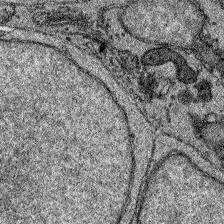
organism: Zebrafish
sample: Larval olfactory bulb